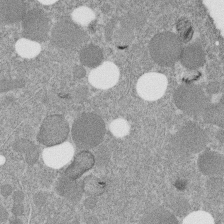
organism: C. elegans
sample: C. elegans embryo early stage